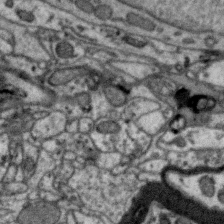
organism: Zebra finch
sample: Brain